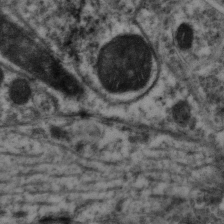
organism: Mouse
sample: Neocortex